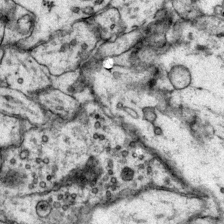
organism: Mouse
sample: Primary visual cortex